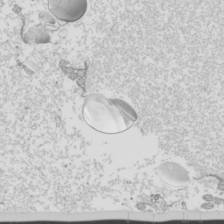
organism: Mouse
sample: Cilia; mouse epididymis